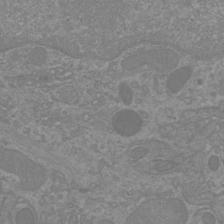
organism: Mouse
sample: Cortical neurons